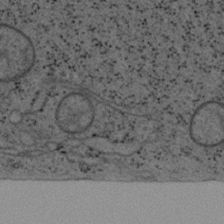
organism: Human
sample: HeLa cells